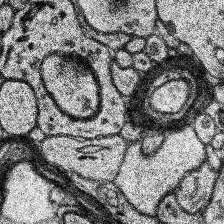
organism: Human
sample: Temporal Lobe